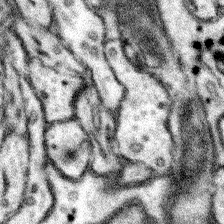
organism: Mouse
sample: Somatosensory cortex neuropil